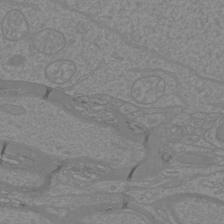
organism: Mouse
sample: Cortical neurons